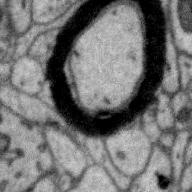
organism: Zebra finch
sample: Brain